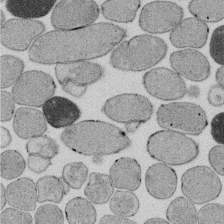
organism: E. coli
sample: Bacterial nucleoid